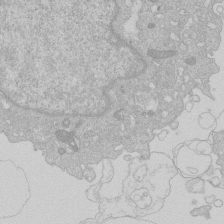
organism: Human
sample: Macrophage cells